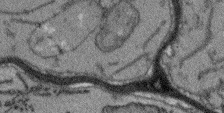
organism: Arabidopsis thaliana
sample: Root tip